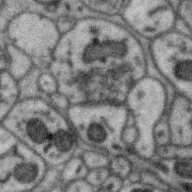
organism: Zebra finch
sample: Brain